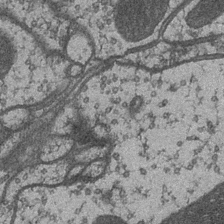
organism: Drosophila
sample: Optic medulla